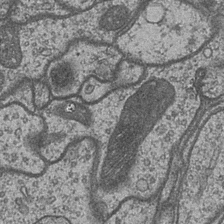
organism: Drosophila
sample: Optic medulla